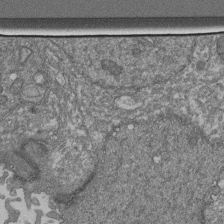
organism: Human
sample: Retinal organoid Rod and Cone cells